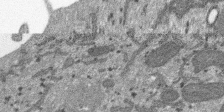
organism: Human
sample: Lung epithelial cells infected with SARS-CoV-2